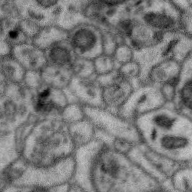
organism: Zebra finch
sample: Brain